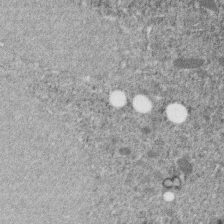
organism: C. elegans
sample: C. elegans embryo early stage